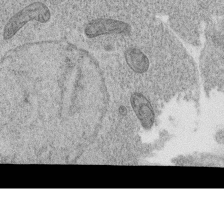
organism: C. elegans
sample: C. elegans oocyte; sperm cells